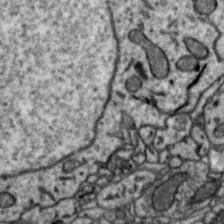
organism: Zebra finch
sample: Brain